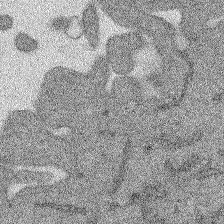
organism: Human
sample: HeLa cells